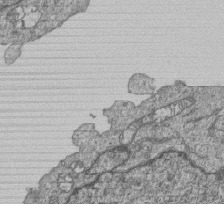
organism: Human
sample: MDA-MB-231 cells